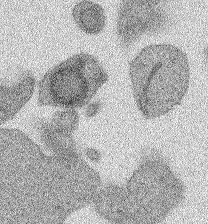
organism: Human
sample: HeLa cells